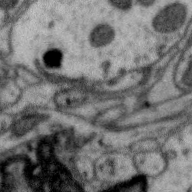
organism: Zebra finch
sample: Brain